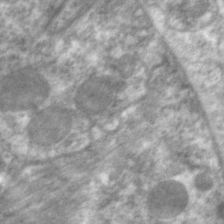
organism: C. elegans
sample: Pharynx